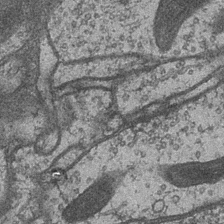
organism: Drosophila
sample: Optic medulla